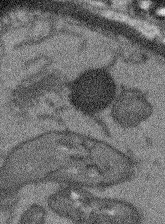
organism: Arabidopsis thaliana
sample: Root tip